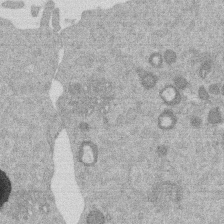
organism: Mouse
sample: Dividing mouse embryo 1 cell stage